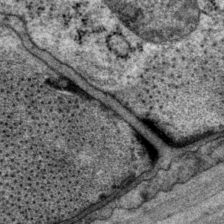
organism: P. pacificus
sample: Pharynx